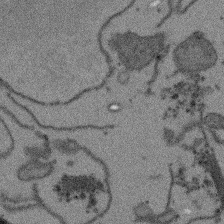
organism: Arabidopsis thaliana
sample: Root tip